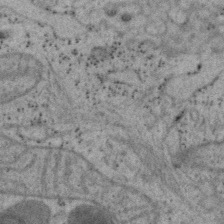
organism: Human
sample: HeLa cells